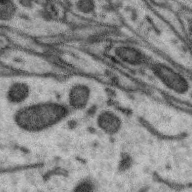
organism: Zebra finch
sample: Brain